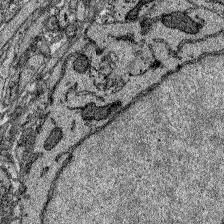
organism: Zebrafish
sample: Larval olfactory bulb